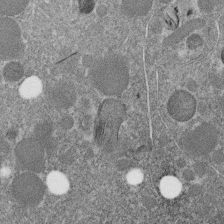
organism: C. elegans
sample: C. elegans embryo early stage